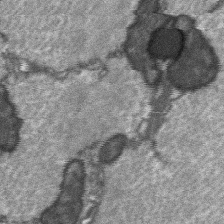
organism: C57BL Mouse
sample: Soleus